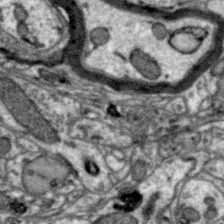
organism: Zebra finch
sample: Brain